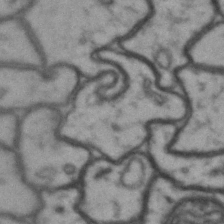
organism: Drosophila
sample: Brain